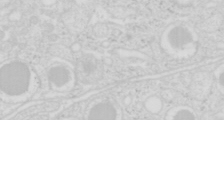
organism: Mouse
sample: Pancreas